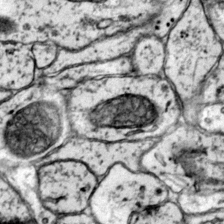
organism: Mouse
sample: Primary visual cortex